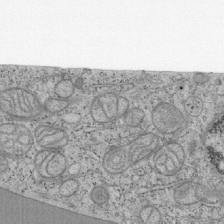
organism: Human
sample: HeLa cells